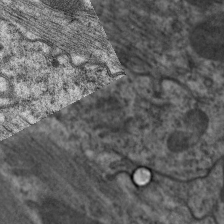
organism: C. elegans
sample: Pharynx